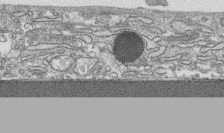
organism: Human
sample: CRL-1474